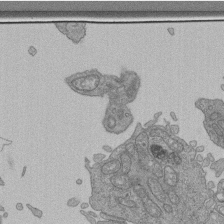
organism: Human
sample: Retinal organoid Rod and Cone cells